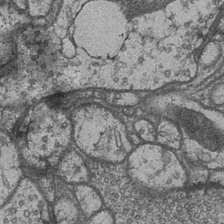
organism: Drosophila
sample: Optic medulla